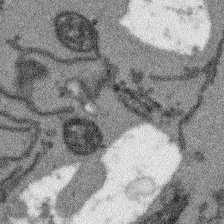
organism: Arabidopsis thaliana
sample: Root tip